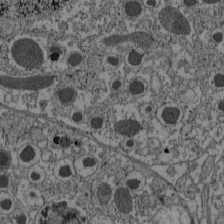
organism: C57BL Mouse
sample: Pancreatic islet